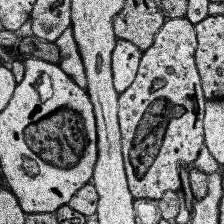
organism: Human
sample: Temporal Lobe